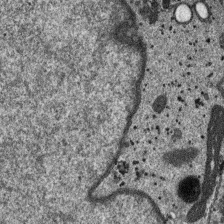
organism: Human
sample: Lung epithelial cells infected with SARS-CoV-2